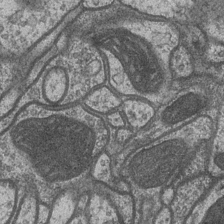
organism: Drosophila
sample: Optic medulla